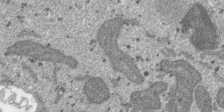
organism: Human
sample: Lung epithelial cells infected with SARS-CoV-2